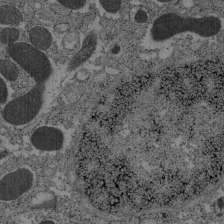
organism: C57BL Mouse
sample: Pancreatic islet